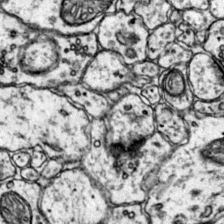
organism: Mouse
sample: Primary visual cortex